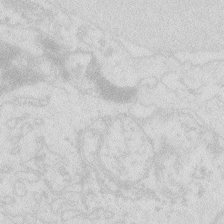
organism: Zebrafish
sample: Macrophage